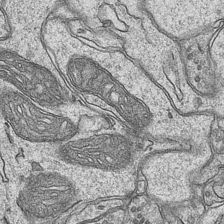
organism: Mouse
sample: CA1 Hippocampus